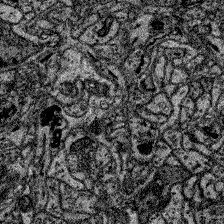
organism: Zebrafish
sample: Larval olfactory bulb